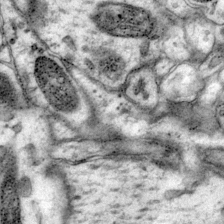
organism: Mouse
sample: Primary visual cortex